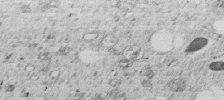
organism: C. elegans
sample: C. elegans embryo early stage